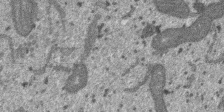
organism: Human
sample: Lung epithelial cells infected with SARS-CoV-2